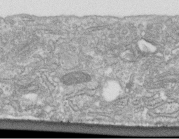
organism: Human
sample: Centriole in fibroblast cells